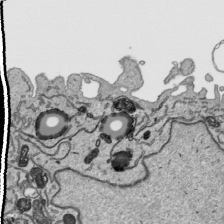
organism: Human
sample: Mitochondria in HCT116 cells